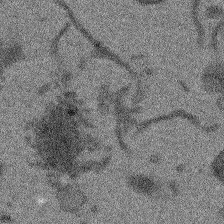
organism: Arabidopsis thaliana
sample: Root tip